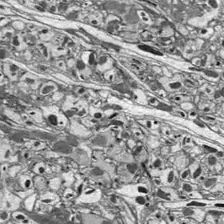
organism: Drosophila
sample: Optic lobe